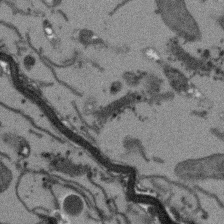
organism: Arabidopsis thaliana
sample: Root tip